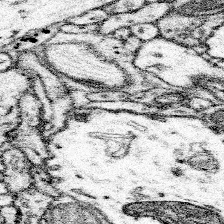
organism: Mouse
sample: Somatosensory cortex neuropil